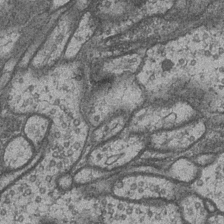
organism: Drosophila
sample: Optic medulla